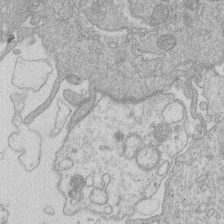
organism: Human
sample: Macrophage cells